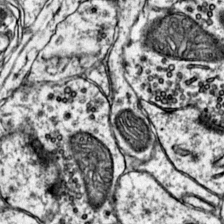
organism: Mouse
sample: Primary visual cortex